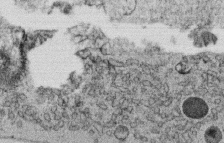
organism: C. elegans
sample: C. elegans oocyte; sperm cells